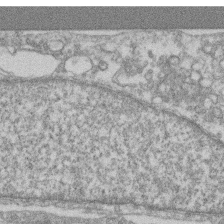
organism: Mouse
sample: T cell stromal cell synapse